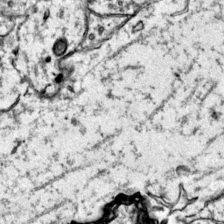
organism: Mouse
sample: Primary visual cortex